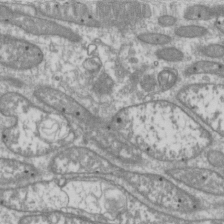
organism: Drosophila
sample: Cell division; meiosis; drosophila spermatocytes